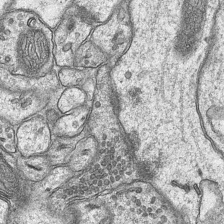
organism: Mouse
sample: CA1 Hippocampus